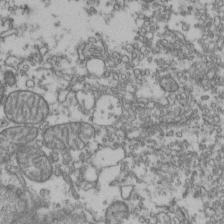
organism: Human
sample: Activated Jurkat CD4+ T cells